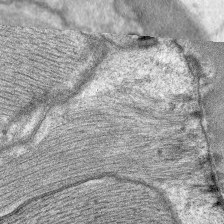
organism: C. elegans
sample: Pharynx